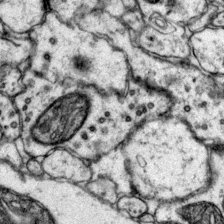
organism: Mouse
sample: Primary visual cortex